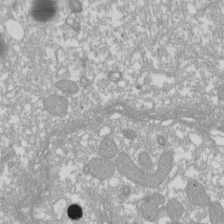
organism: Xenopus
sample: Cilia; centrioles in frog embryo cells